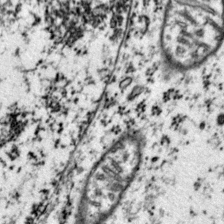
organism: Mouse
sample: Primary visual cortex